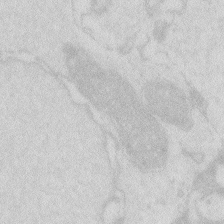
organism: Zebrafish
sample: Macrophage